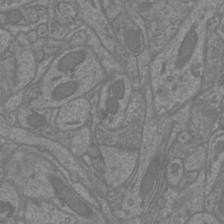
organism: Mouse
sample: Cortical neurons